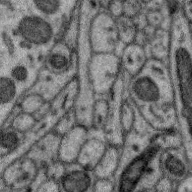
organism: Zebra finch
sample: Brain